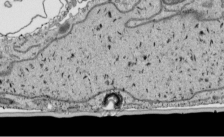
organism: Human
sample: Mitochondria in HCT116 cells